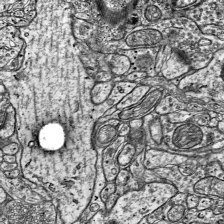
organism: Mouse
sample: Visual Cortex